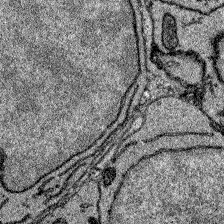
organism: Zebrafish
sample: Larval olfactory bulb